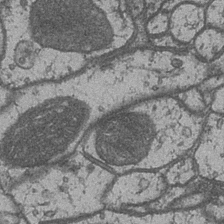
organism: Drosophila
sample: Optic medulla